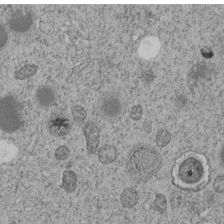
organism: C. elegans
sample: C. elegans embryo early stage